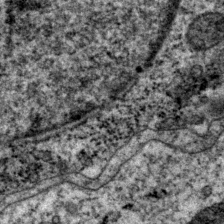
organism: P. pacificus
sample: Pharynx